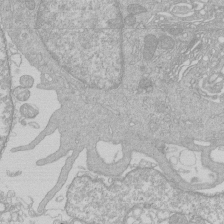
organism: Human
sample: Macrophage cells